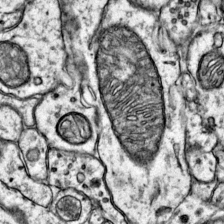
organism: Mouse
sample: Primary visual cortex